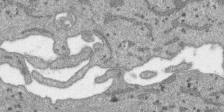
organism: Human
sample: Lung epithelial cells infected with SARS-CoV-2